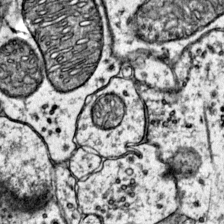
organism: Mouse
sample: Primary visual cortex